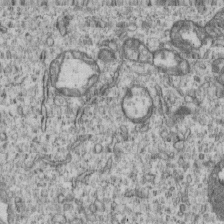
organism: Human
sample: MDA-MB-231 cells